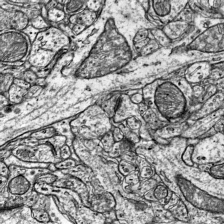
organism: Mouse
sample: Visual Cortex